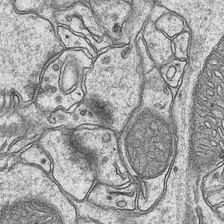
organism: Mouse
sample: CA1 Hippocampus